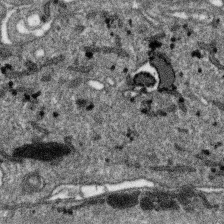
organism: Human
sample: Lung epithelial cells infected with SARS-CoV-2